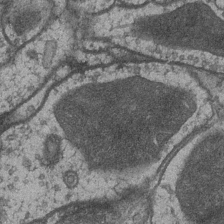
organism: Drosophila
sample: Optic medulla